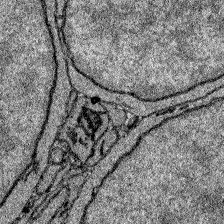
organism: Zebrafish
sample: Larval olfactory bulb